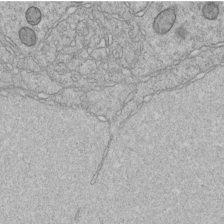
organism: C. elegans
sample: C. elegans embryo early stage